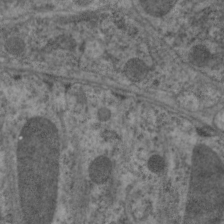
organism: C. elegans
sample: Pharynx